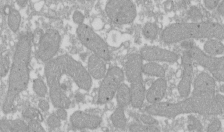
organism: Xenopus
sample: Cilia; centrioles in frog embryo cells